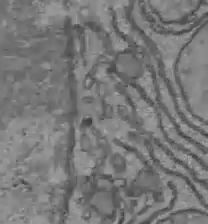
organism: C57BL Mouse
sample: Liver